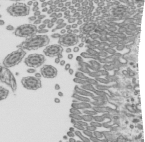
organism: Mouse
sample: Mouse epididymis efferent ductule cilia